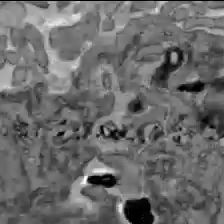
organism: C57BL Mouse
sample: Liver